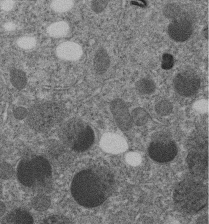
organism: C. elegans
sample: C. elegans embryo early stage